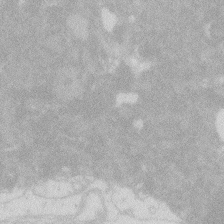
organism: Zebrafish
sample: Macrophage